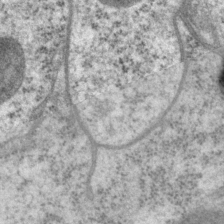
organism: P. pacificus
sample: Pharynx